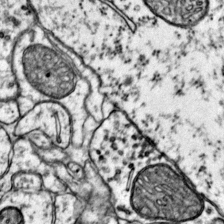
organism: Mouse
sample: Primary visual cortex